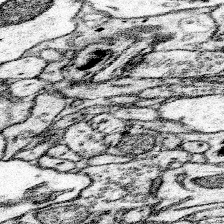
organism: Mouse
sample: Somatosensory cortex neuropil